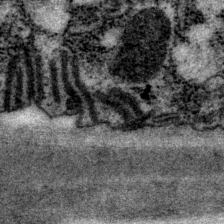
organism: P. pacificus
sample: Pharynx